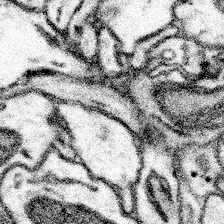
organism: Mouse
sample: Somatosensory cortex neuropil